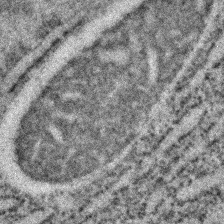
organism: C. elegans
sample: C. elegans embryo